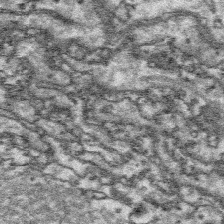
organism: Platynereis dumerilii